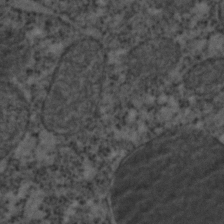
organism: C. elegans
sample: C. elegans embryo